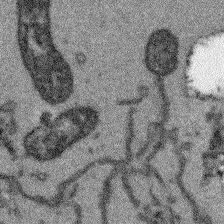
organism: Arabidopsis thaliana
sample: Root tip